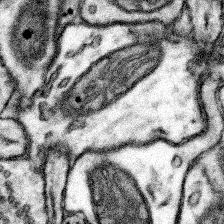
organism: Mouse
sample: Somatosensory cortex neuropil